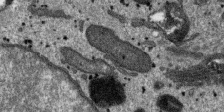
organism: Human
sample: Lung epithelial cells, uninfected (mock) control